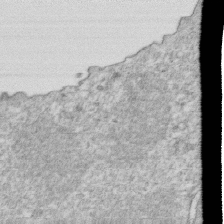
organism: Mouse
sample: Activated OT-1 CD8+ T cells